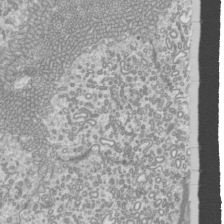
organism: Mouse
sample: Cilia; mouse epididymis